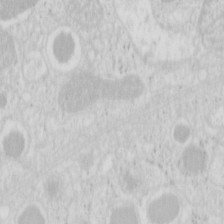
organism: Mouse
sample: Pancreas